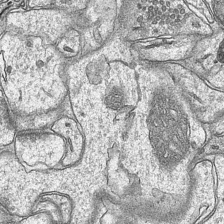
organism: Mouse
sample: CA1 Hippocampus